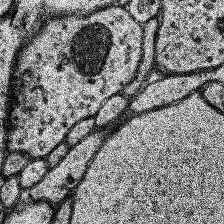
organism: Human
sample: Temporal Lobe